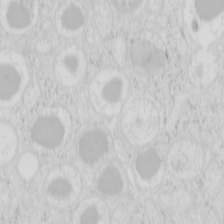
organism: Mouse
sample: Pancreas